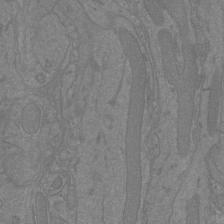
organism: Mouse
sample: Cortical neurons